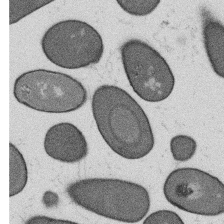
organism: B. subtilis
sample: Bacterial spore